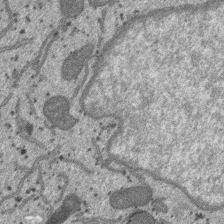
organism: Human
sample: Lung epithelial cells infected with SARS-CoV-2